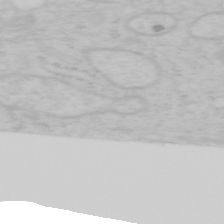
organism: Mouse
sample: OT-I killer T cells with ID8 ovarian cancer cells